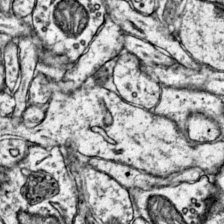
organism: Mouse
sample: Primary visual cortex